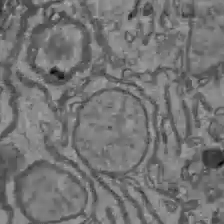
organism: C57BL Mouse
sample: Liver